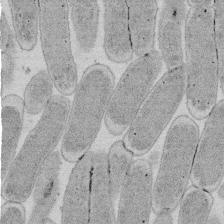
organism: E. coli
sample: Bacterial nucleoid